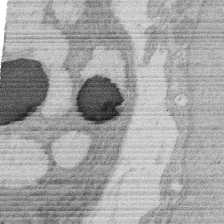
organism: Rat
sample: Salivary granule